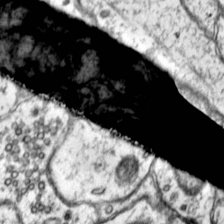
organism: Mouse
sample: Primary visual cortex